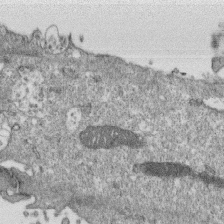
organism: African green monkey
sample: Vero E6 cells infected with SARS-CoV-2